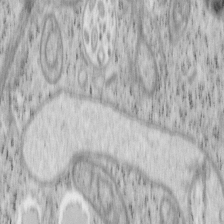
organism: Human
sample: HeLa cells